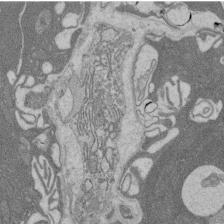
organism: Rat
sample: Salivary granule